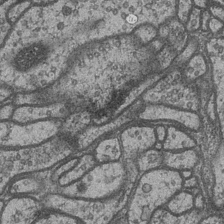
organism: Drosophila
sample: Optic medulla